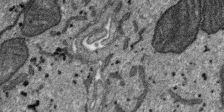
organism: Human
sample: Lung epithelial cells, uninfected (mock) control